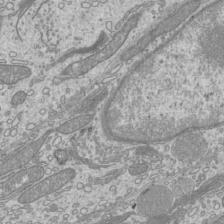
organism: Mouse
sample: Cilia; mouse epididymis